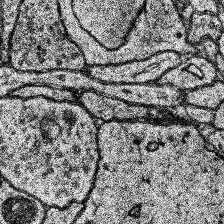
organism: Human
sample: Temporal Lobe